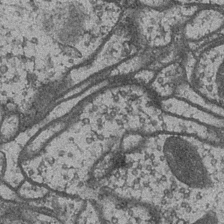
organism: Drosophila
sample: Optic medulla